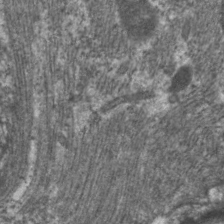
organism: C. elegans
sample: Pharynx